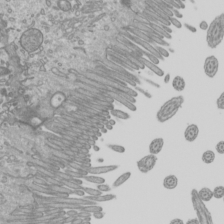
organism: Mouse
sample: Cilia; mouse epididymis